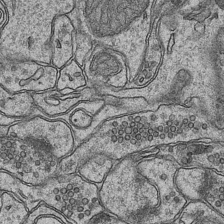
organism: Mouse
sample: CA1 Hippocampus